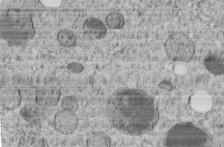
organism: C. elegans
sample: C. elegans embryo early stage